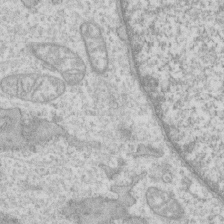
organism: Human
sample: CRL-1474